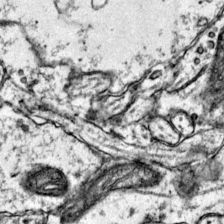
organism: Mouse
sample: Primary visual cortex